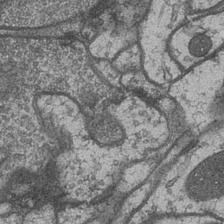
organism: Drosophila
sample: Optic medulla